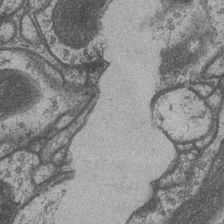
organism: Drosophila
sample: Optic medulla